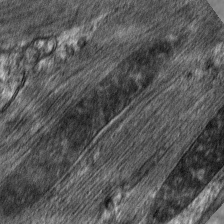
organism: C. elegans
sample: Pharynx